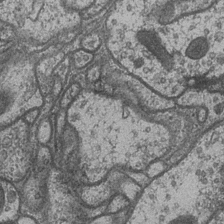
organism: Drosophila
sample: Optic medulla